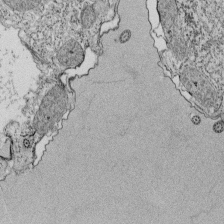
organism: Tetrahymena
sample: Cilia in tetrahymena